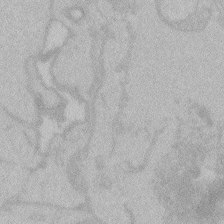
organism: Zebrafish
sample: Macrophage infected with Toxoplasma gondii